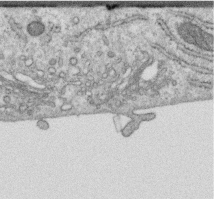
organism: Human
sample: Centriole in RPE cells